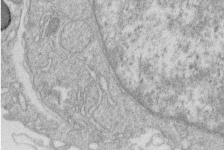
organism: Human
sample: Macrophage cells